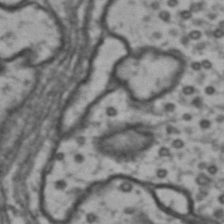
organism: Drosophila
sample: Brain